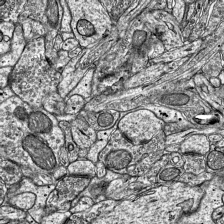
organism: Mouse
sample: Visual Cortex